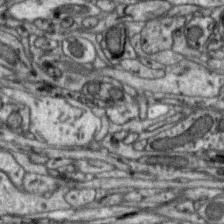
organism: Zebra finch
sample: Brain